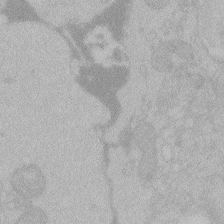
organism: Zebrafish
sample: Macrophage infected with Toxoplasma gondii